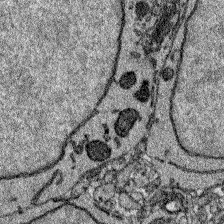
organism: Zebrafish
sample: Larval olfactory bulb